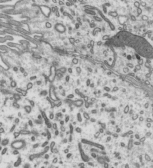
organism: Mouse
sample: Mouse epididymis efferent ductule cilia